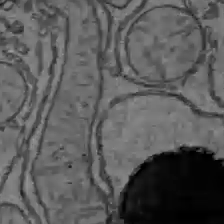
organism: C57BL Mouse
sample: Liver